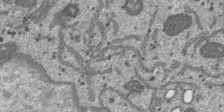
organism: Human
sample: Lung epithelial cells infected with SARS-CoV-2